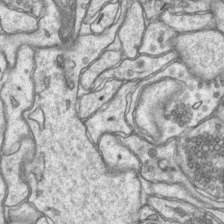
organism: Mouse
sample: CA1 Hippocampus